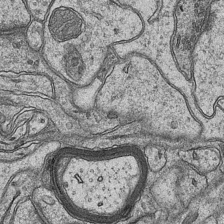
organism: Mouse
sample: CA1 Hippocampus